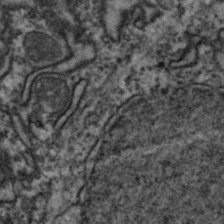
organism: Zebrafish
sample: Zebrafish embryo